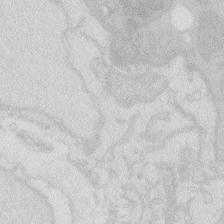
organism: Zebrafish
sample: Macrophage